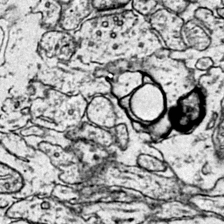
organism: Mouse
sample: Primary visual cortex